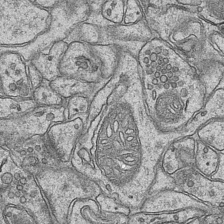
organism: Mouse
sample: CA1 Hippocampus